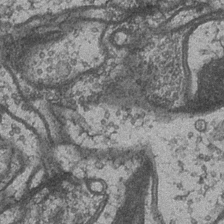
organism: Drosophila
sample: Optic medulla